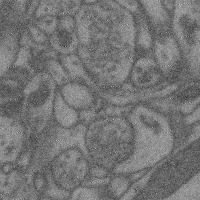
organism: Mouse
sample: Cerebral cortex